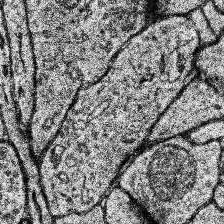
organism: Human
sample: Temporal Lobe